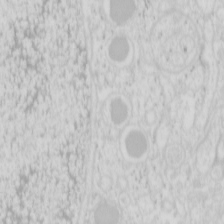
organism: Mouse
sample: Pancreas